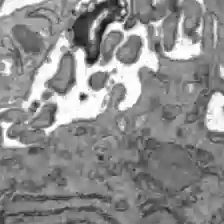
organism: C57BL Mouse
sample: Liver